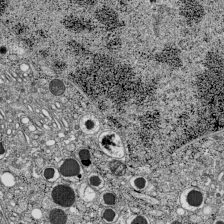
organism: C57BL Mouse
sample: Pancreatic islet